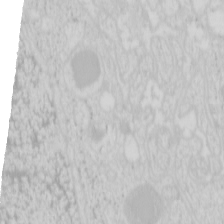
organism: Mouse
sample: Pancreas